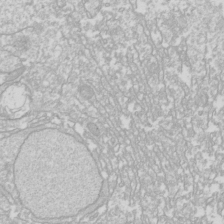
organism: Drosophila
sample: Cell division; meiosis; drosophila spermatocytes